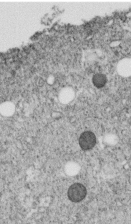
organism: C. elegans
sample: C. elegans embryo early stage